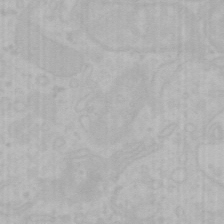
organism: Mouse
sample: Choroid plexus